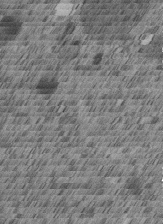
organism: C. elegans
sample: C. elegans embryo early stage